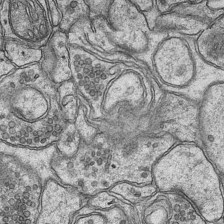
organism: Mouse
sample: CA1 Hippocampus